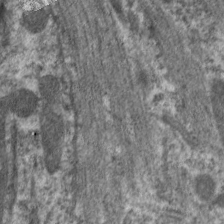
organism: C. elegans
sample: Pharynx